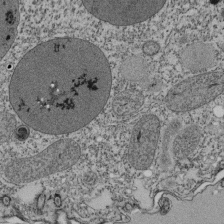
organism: Tetrahymena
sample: Cilia in tetrahymena